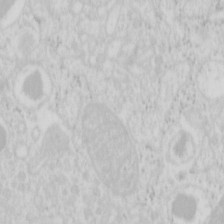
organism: Mouse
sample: Pancreas